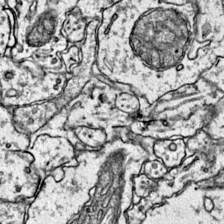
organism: Mouse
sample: Primary visual cortex